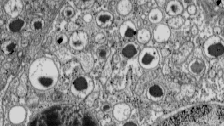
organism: C57BL Mouse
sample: Pancreatic islet